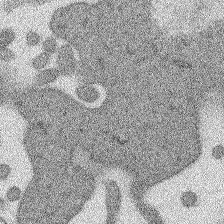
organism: Human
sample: HeLa cells